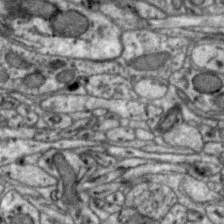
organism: Zebra finch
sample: Brain